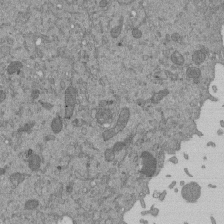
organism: Mouse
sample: ED-1 cell nuclei; centrioles